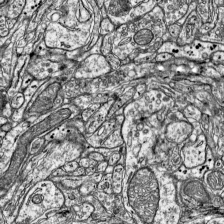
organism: Mouse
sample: Visual Cortex